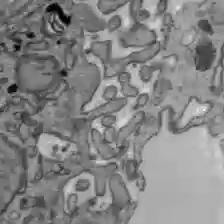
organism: C57BL Mouse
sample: Liver